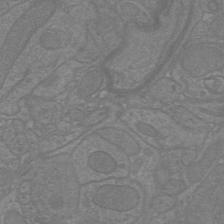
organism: Mouse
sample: Cortical neurons